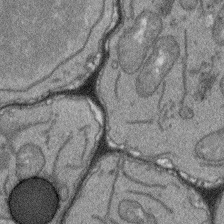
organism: Arabidopsis thaliana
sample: Root tip